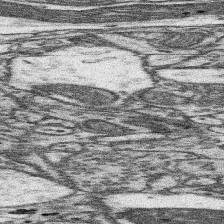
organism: Mouse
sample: Somatosensory cortex neuropil